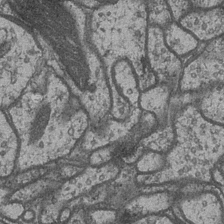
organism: Drosophila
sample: Optic medulla